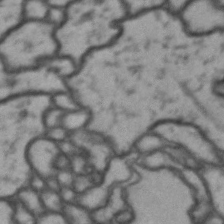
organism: Drosophila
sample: Brain